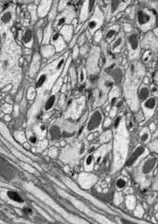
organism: Drosophila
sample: Optic lobe